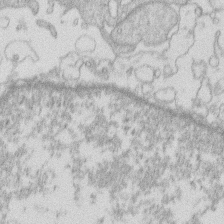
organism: Human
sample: Macrophage cells